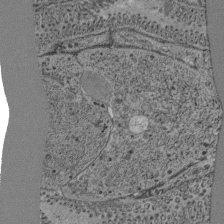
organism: C. elegans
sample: C. elegans pharynx